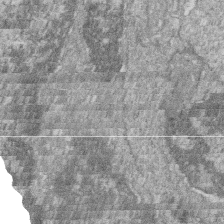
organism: Zebrafish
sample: Cilia; retinal pigment epithelium